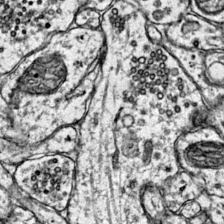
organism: Mouse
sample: Primary visual cortex